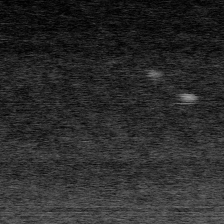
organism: Human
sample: HeLa cells